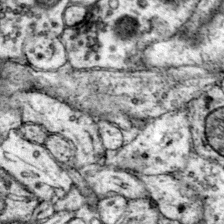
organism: Mouse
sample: Primary visual cortex